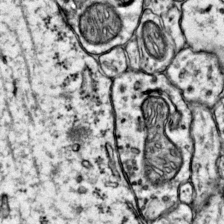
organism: Mouse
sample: Primary visual cortex